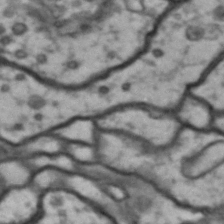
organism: Drosophila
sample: Brain